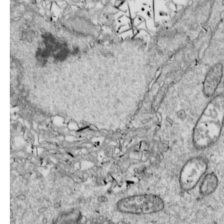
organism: Drosophila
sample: Cell division; meiosis; drosophila spermatocytes